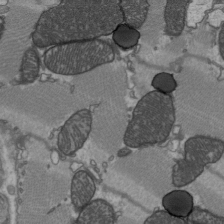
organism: C57BL Mouse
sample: Heart